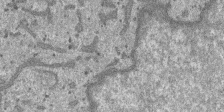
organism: Human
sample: Lung epithelial cells infected with SARS-CoV-2